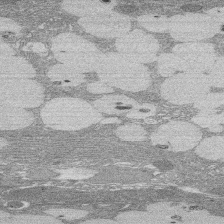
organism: Rat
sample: Salivary granule